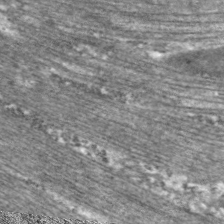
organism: C. elegans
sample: Pharynx